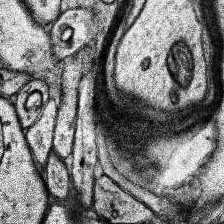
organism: Human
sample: Temporal Lobe